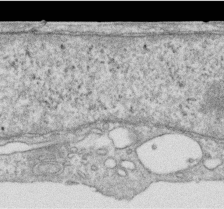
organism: Human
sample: Centriole in RPE cells